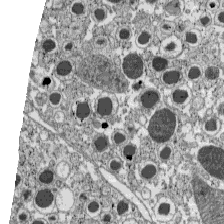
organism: C57BL Mouse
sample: Pancreatic islet